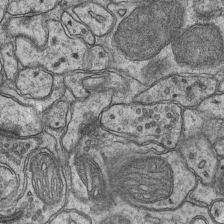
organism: Mouse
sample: CA1 Hippocampus